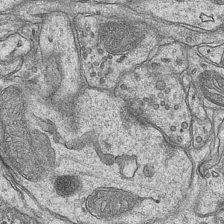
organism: Mouse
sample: CA1 Hippocampus